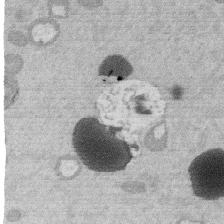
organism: Mouse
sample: Dividing mouse embryo 1 cell stage